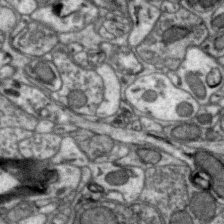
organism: Zebra finch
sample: Brain